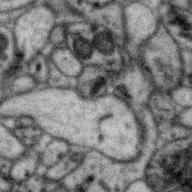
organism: Zebra finch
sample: Brain